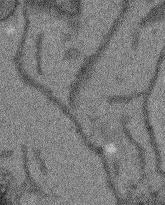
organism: Arabidopsis thaliana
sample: Root tip